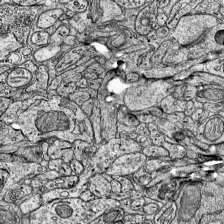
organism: Mouse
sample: Visual Cortex